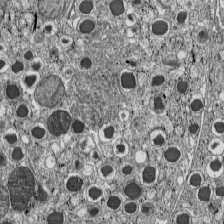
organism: C57BL Mouse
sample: Pancreatic islet